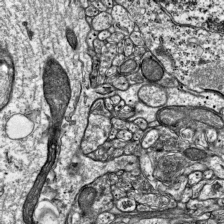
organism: Mouse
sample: Visual Cortex